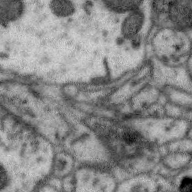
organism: Zebra finch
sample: Brain